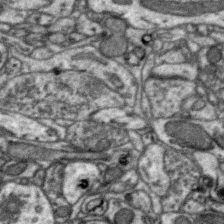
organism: Zebra finch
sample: Brain